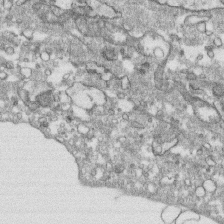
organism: Human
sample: CRL-1474